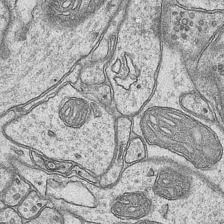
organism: Mouse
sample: CA1 Hippocampus